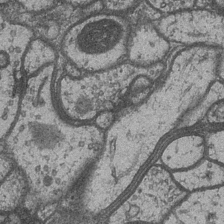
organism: Drosophila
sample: Optic medulla